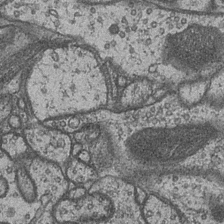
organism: Drosophila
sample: Optic medulla